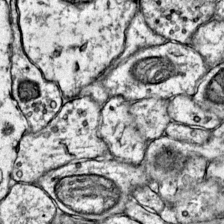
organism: Mouse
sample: Primary visual cortex